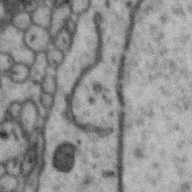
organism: Zebra finch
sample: Brain